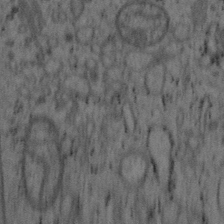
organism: Human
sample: HeLa cells